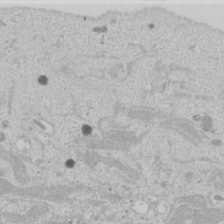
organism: Human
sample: Mitochondria in U2OS cells